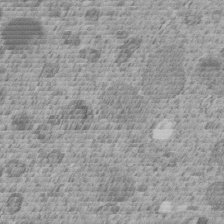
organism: C. elegans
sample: C. elegans embryo early stage